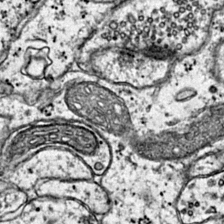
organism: Mouse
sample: Primary visual cortex